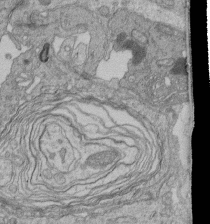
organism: Human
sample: Retinal organoid Rod and Cone cells